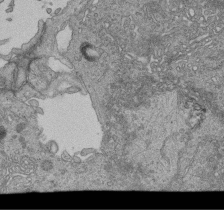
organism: Human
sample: Retinal organoid Rod and Cone cells